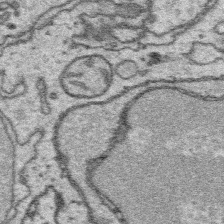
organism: Platynereis dumerilii